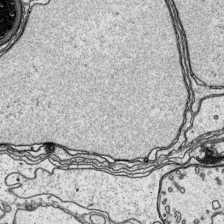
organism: Platynereis dumerilii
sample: Parapodia